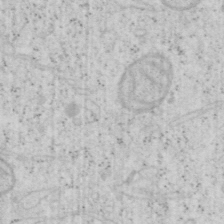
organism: Human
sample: HeLa cells